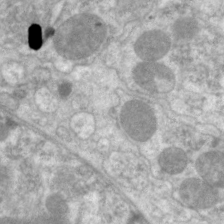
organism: C. elegans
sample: Pharynx